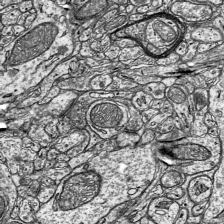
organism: Mouse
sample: Visual Cortex